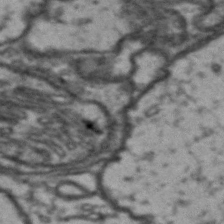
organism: Drosophila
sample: Brain